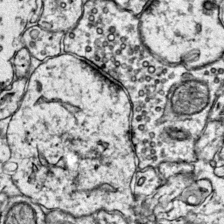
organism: Mouse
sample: Primary visual cortex